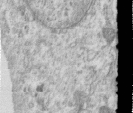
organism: Human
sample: Centriole in RPE cells